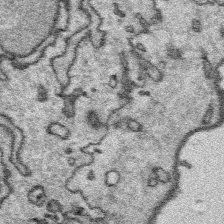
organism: Platynereis dumerilii